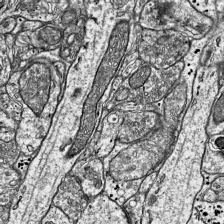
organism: Mouse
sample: Visual Cortex